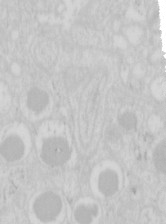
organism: Mouse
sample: Pancreas